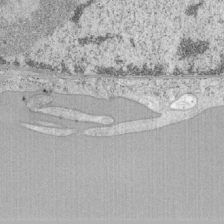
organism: Human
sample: HeLa cells